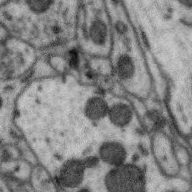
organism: Zebra finch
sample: Brain